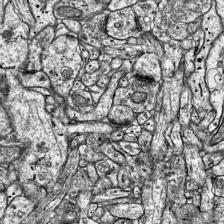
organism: Mouse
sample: Visual Cortex